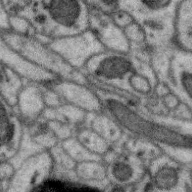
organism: Zebra finch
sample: Brain